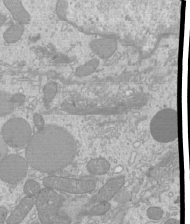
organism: Mouse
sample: Cilia; mouse epididymis